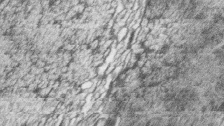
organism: Zebrafish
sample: synaptic ribbons in rod cells and cone cells